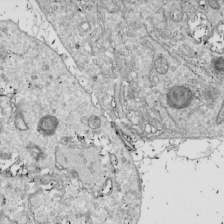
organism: Drosophila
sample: Cell division; meiosis; drosophila spermatocytes